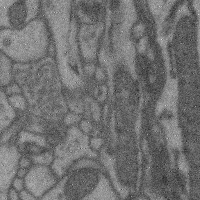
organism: Mouse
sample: Cerebral cortex